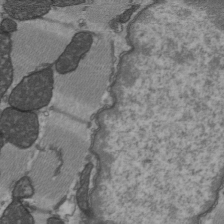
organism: C57BL Mouse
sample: Heart